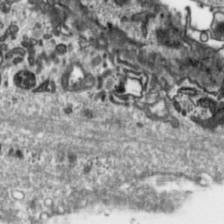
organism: Toxoplasma gondii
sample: Parasites in a vacuole inside a host cell